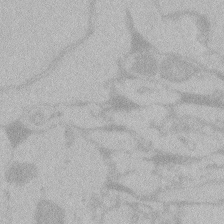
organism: Zebrafish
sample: Macrophage infected with Toxoplasma gondii